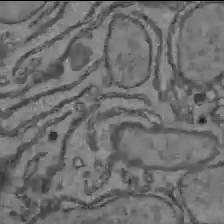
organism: C57BL Mouse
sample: Liver